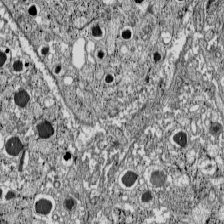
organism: C57BL Mouse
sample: Pancreatic islet